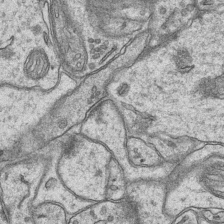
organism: Mouse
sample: CA1 Hippocampus